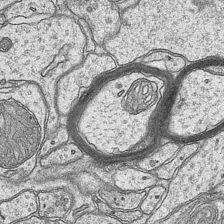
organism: Mouse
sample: CA1 Hippocampus